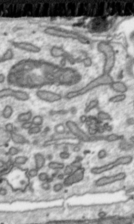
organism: Toxoplasma gondii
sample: Parasites in a vacuole inside a host cell